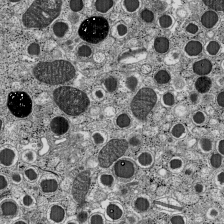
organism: C57BL Mouse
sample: Pancreatic islet